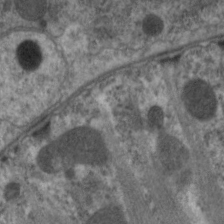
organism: C. elegans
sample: Pharynx